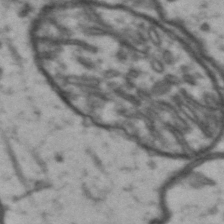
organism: Drosophila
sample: Brain